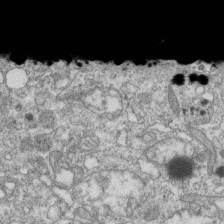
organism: Human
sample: HeLa cell HIV synapse